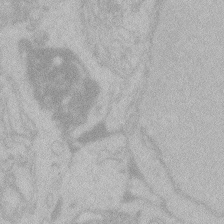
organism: Zebrafish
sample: Macrophage infected with Toxoplasma gondii